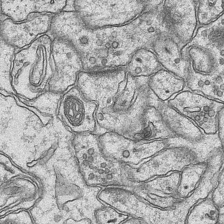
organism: Mouse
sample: CA1 Hippocampus